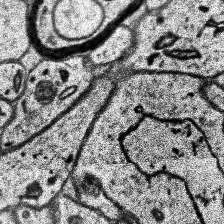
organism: Human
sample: Temporal Lobe